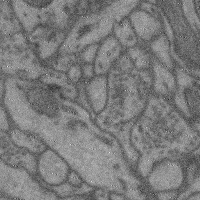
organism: Mouse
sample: Cerebral cortex